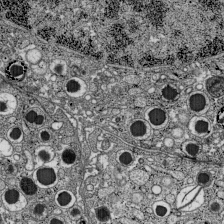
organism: C57BL Mouse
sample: Pancreatic islet